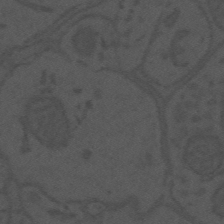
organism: Mouse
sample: Suprachiasmatic nucleus